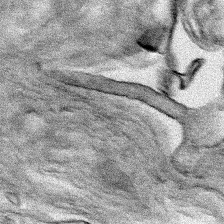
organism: Human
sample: Mitochondria in HCT116 cells